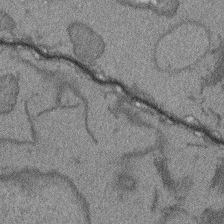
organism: Arabidopsis thaliana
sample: Root tip